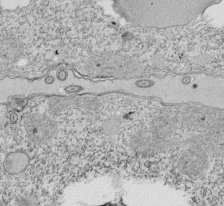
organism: Tetrahymena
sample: Cilia in tetrahymena